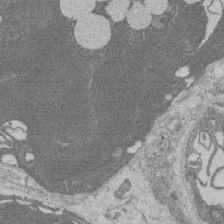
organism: Rat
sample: Salivary granule